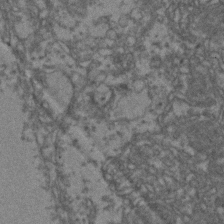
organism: Zebrafish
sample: Zebrafish embryo